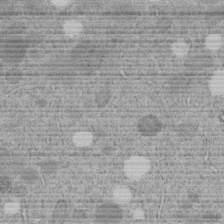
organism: C. elegans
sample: C. elegans embryo early stage